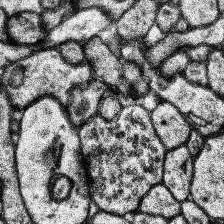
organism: Human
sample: Temporal Lobe